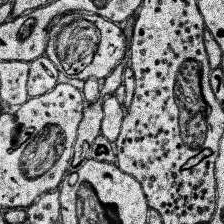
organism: Human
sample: Temporal Lobe